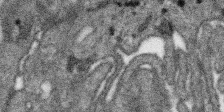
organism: Human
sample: Lung epithelial cells infected with SARS-CoV-2